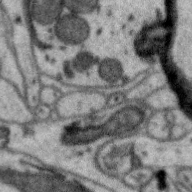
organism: Zebra finch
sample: Brain